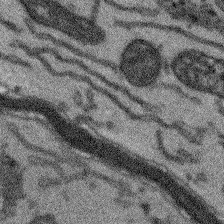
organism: Arabidopsis thaliana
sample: Root tip